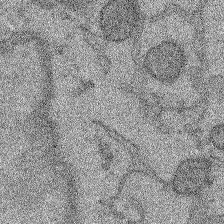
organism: Human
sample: HeLa cells